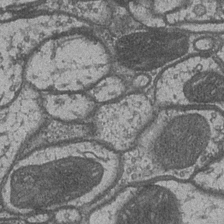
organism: Drosophila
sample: Optic medulla